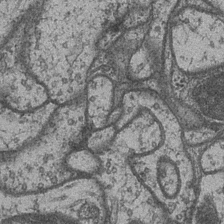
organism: Drosophila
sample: Optic medulla